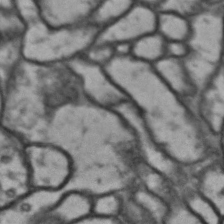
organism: Drosophila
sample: Brain